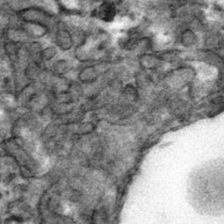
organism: Mouse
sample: Mouse hepatocytes